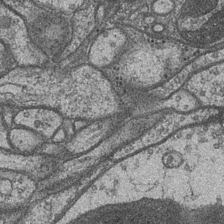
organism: Drosophila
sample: Optic medulla